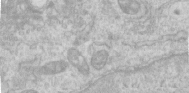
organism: Human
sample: Centriole in RPE cells